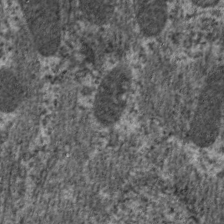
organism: C. elegans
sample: Pharynx